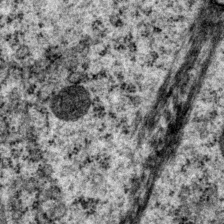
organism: P. pacificus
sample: Pharynx